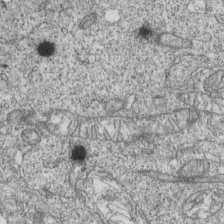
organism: Human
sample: HeLa cell HIV synapse